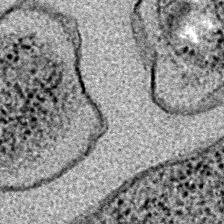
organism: E. coli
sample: E. Coli Bacteria